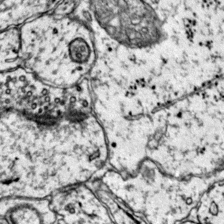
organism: Mouse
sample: Primary visual cortex